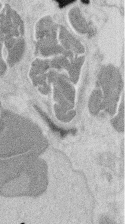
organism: Mouse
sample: T cell stromal cell synapse